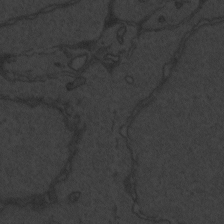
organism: Zebrafish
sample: Macrophage infected with Toxoplasma gondii